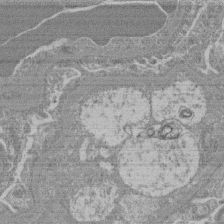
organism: Mouse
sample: Glomerulus